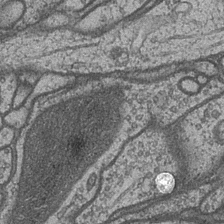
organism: Drosophila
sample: Optic medulla